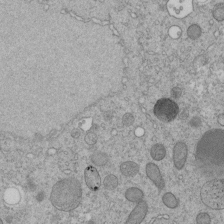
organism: C. elegans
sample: C. elegans embryo early stage